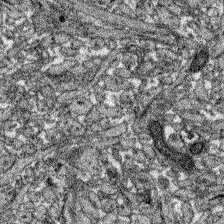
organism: Zebrafish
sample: Larval olfactory bulb